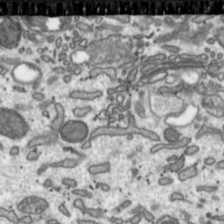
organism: Toxoplasma gondii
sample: Parasites in a vacuole inside a host cell